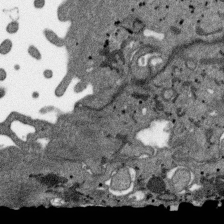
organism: Human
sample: Lung epithelial cells, uninfected (mock) control